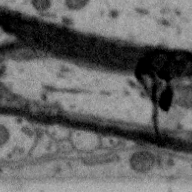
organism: Zebra finch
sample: Brain